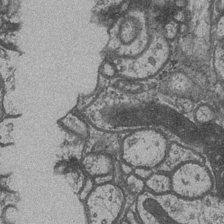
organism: Drosophila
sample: Optic medulla